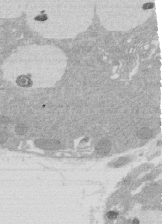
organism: Rat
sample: Salivary granule